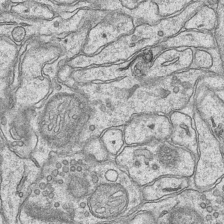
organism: Mouse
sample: CA1 Hippocampus